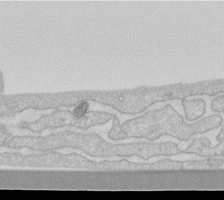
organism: Human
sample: Fibroblast cells